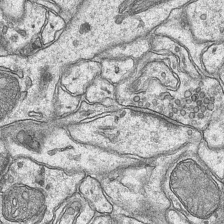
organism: Mouse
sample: CA1 Hippocampus